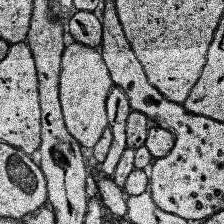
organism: Human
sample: Temporal Lobe